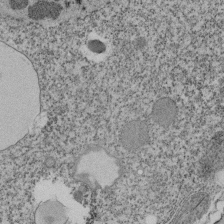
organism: Tetrahymena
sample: Cilia in tetrahymena